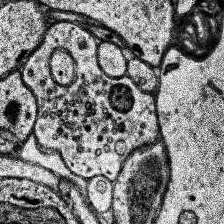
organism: Human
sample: Temporal Lobe